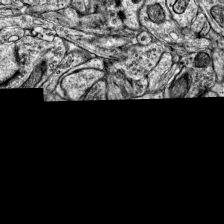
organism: Mouse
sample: Visual Cortex